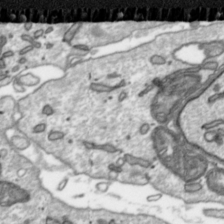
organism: Toxoplasma gondii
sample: Parasites in a vacuole inside a host cell